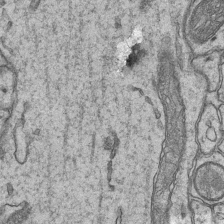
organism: Mouse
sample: CA1 Hippocampus